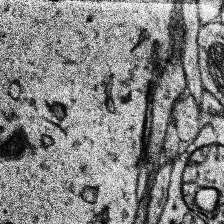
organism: Human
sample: Temporal Lobe